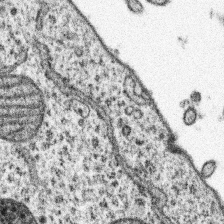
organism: Human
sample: HeLa cells